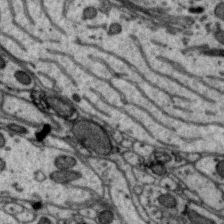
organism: Zebra finch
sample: Brain